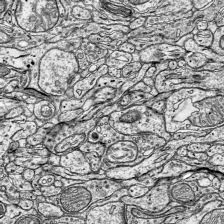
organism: Mouse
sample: Visual Cortex